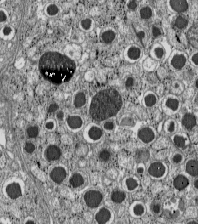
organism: C57BL Mouse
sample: Pancreatic islet